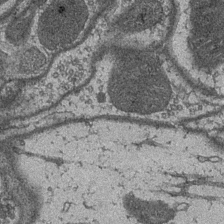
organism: Drosophila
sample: Optic medulla